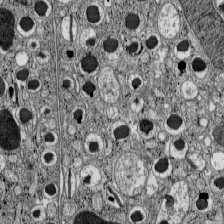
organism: C57BL Mouse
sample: Pancreatic islet